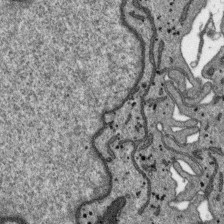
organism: Human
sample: Lung epithelial cells, uninfected (mock) control